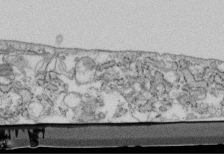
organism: Mouse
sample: Cilia; retinal pigment epithelium